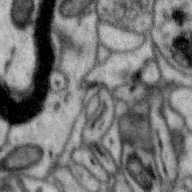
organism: Zebra finch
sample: Brain